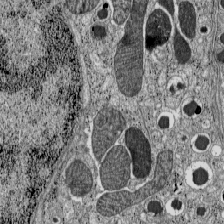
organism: C57BL Mouse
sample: Pancreatic islet